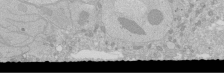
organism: Human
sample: Caco-2 cells